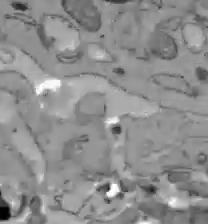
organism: C57BL Mouse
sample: Liver